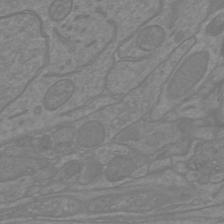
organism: Mouse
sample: Cortical neurons